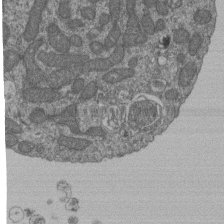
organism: Human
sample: Retinal organoid Rod and Cone cells